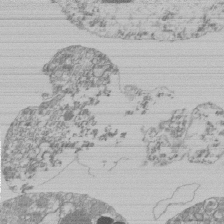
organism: Mouse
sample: Activated Pmel transgenic CD8+ T Cells